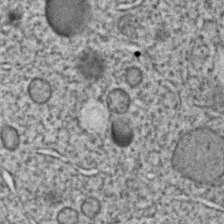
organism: C. elegans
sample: C. elegans embryo